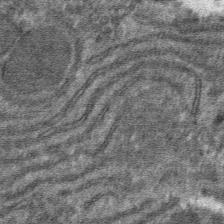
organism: Mouse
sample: Mouse hepatocytes